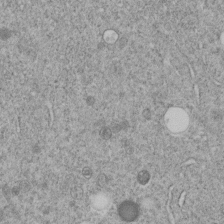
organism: C. elegans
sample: C. elegans embryo early stage